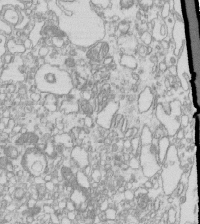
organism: Mouse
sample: Macrophages